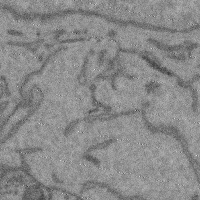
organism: Mouse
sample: Cerebral cortex